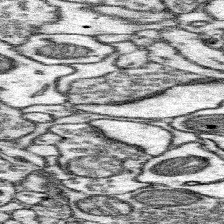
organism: Mouse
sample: Somatosensory cortex neuropil